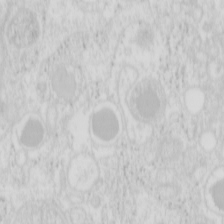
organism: Mouse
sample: Pancreas